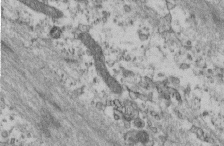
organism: Mouse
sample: Cilia; retinal pigment epithelium